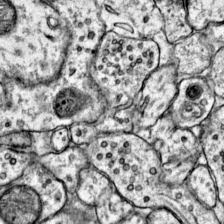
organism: Mouse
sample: Primary visual cortex